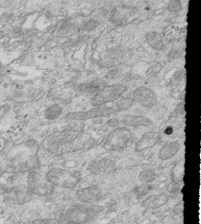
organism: Mouse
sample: Multiciliated cells